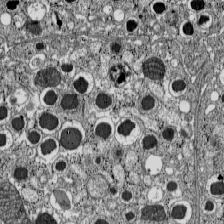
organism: C57BL Mouse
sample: Pancreatic islet